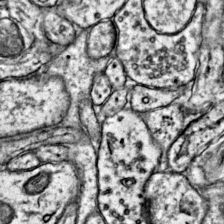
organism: Mouse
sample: Primary visual cortex